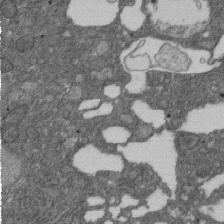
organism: Drosophila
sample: Nephrocyte